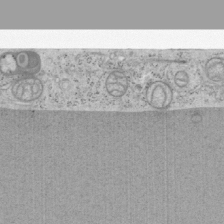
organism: Human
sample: HeLa cells